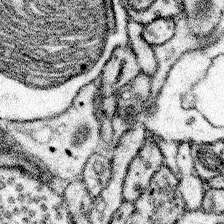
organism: Mouse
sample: Somatosensory cortex neuropil